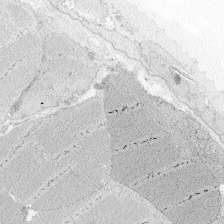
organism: Zebrafish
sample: Whole-Brain